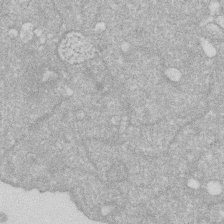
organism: Human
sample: HIV infected U937 cells